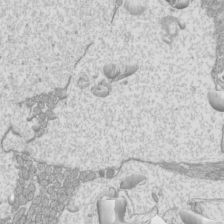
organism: Mouse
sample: Cilia; mouse epididymis